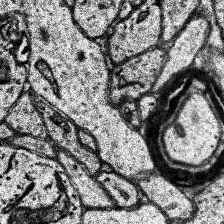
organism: Human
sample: Temporal Lobe